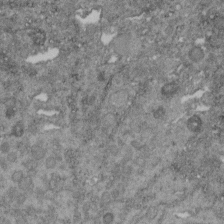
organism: C. elegans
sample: C. elegans embryo early stage